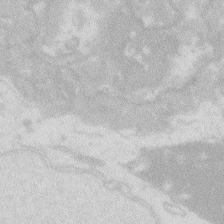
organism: Zebrafish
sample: Macrophage